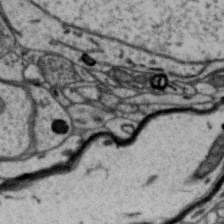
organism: Zebra finch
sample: Brain